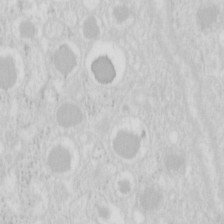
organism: Mouse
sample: Pancreas